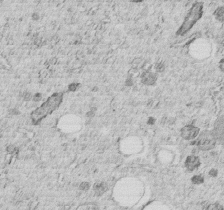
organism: C. elegans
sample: C. elegans embryo early stage